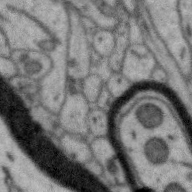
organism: Zebra finch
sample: Brain